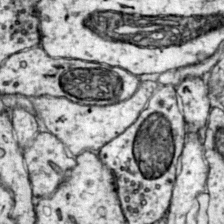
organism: Mouse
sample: Primary visual cortex